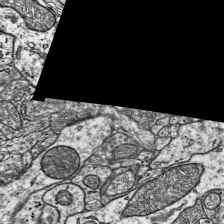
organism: Mouse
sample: Visual Cortex